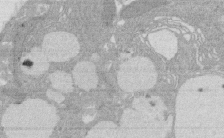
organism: Rat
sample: Salivary granule